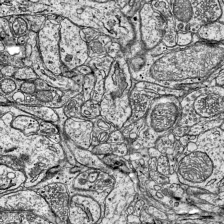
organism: Mouse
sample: Visual Cortex